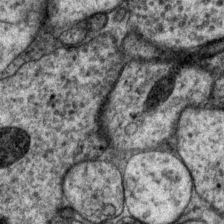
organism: P. pacificus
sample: Pharynx